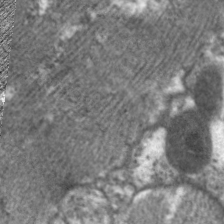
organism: C. elegans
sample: Pharynx